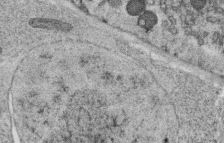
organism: C. elegans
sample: C. elegans oocyte; sperm cells